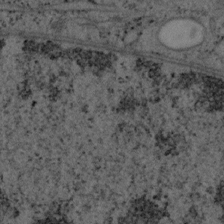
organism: Human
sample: HeLa cells